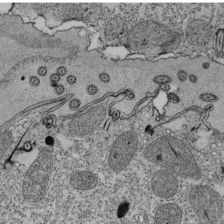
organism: Tetrahymena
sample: Cilia in tetrahymena